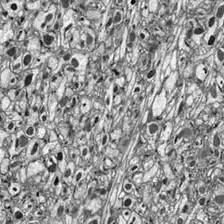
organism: Drosophila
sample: Optic lobe